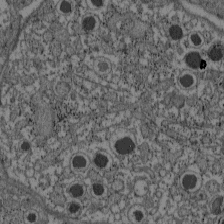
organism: C57BL Mouse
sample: Pancreatic islet